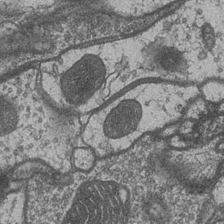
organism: Drosophila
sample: Optic medulla